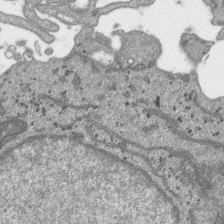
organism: Human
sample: Lung epithelial cells infected with SARS-CoV-2